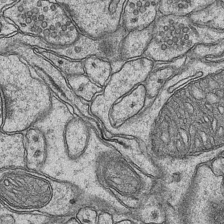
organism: Mouse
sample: CA1 Hippocampus